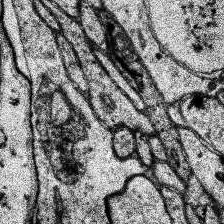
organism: Human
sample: Temporal Lobe